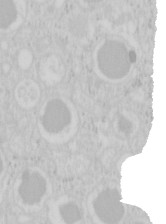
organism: Mouse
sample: Pancreas